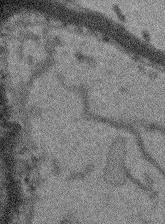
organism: Arabidopsis thaliana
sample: Root tip